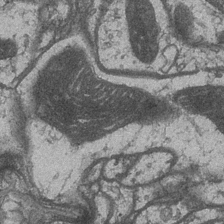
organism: Drosophila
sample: Optic medulla